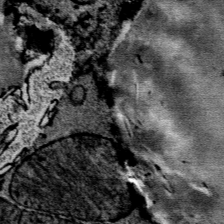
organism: Mouse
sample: Mouse Salivary gland